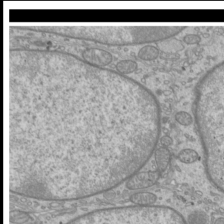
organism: Mouse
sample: Cilia; mouse epididymis